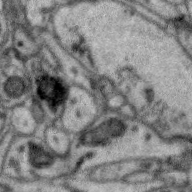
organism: Zebra finch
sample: Brain